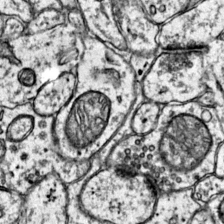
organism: Mouse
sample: Primary visual cortex